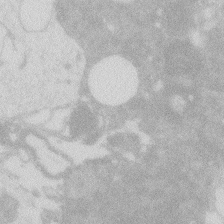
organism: Zebrafish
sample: Macrophage